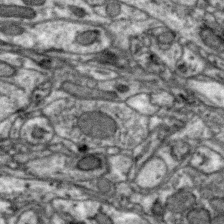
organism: Zebra finch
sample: Brain